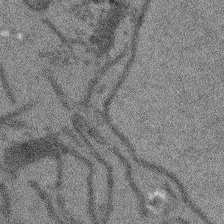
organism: Arabidopsis thaliana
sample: Root tip